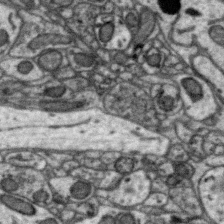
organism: Zebra finch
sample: Brain